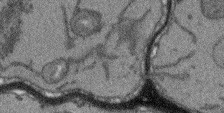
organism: Arabidopsis thaliana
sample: Root tip